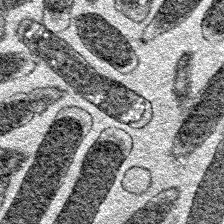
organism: E. coli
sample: E. Coli Bacteria